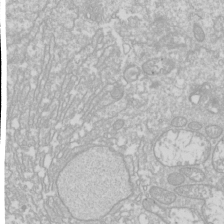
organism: Drosophila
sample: Cell division; meiosis; drosophila spermatocytes